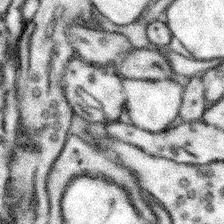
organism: Mouse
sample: Somatosensory cortex neuropil